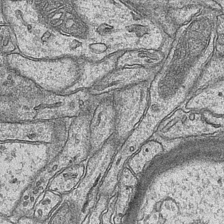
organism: Mouse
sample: CA1 Hippocampus